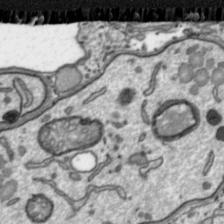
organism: Toxoplasma gondii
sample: Parasites in a vacuole inside a host cell